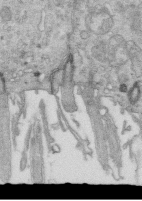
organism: Mouse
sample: Multiciliated cells